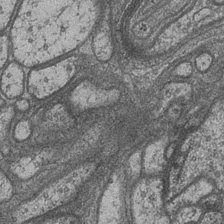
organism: Drosophila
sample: Optic medulla